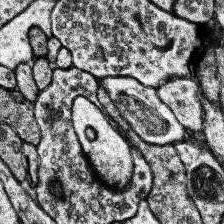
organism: Human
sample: Temporal Lobe